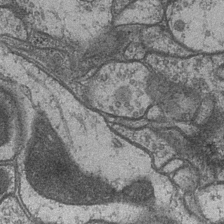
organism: Drosophila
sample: Optic medulla